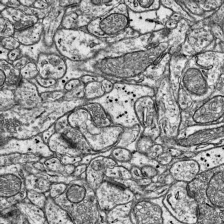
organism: Mouse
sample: Visual Cortex